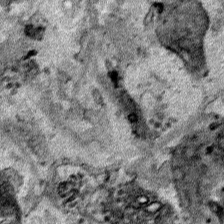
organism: Human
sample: Mitochondria in HCT116 cells